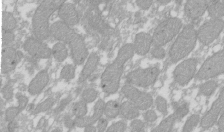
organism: Xenopus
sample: Cilia; centrioles in frog embryo cells